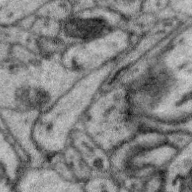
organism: Zebra finch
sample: Brain